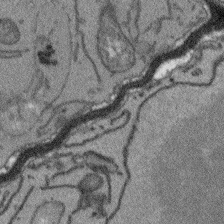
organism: Arabidopsis thaliana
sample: Root tip